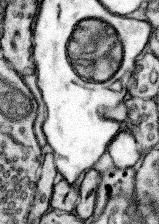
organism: Mouse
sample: Somatosensory cortex neuropil